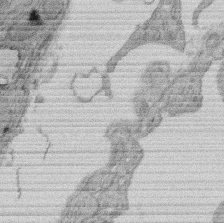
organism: Rat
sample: Salivary granule